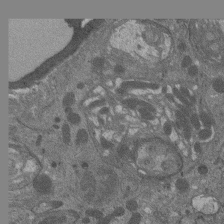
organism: Drosophila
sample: Antenna